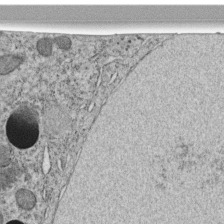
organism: C. elegans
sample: C. elegans embryo early stage